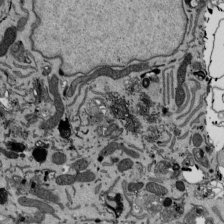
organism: Mouse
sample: ED-1 cell nuclei; centrioles